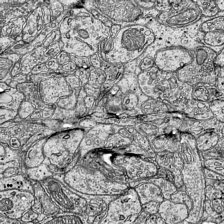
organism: Mouse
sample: Visual Cortex